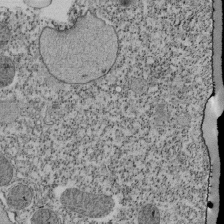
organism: Tetrahymena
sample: Cilia in tetrahymena